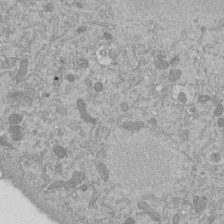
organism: Mouse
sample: ED-1 cell nuclei; centrioles